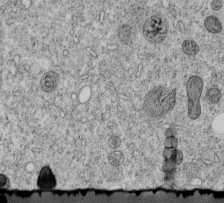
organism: C. elegans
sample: C. elegans embryo early stage